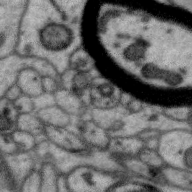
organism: Zebra finch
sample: Brain